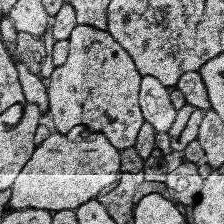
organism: Human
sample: Temporal Lobe